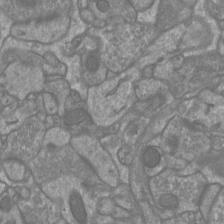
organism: Mouse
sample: Cortical neurons